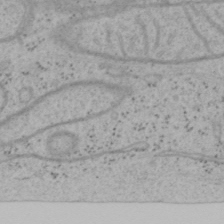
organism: Human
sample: HeLa cells